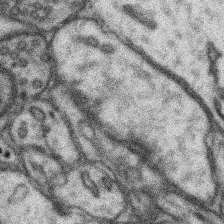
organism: Mouse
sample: Somatosensory cortex neuropil